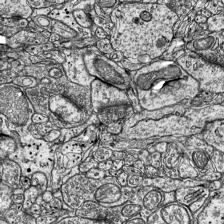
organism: Mouse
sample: Visual Cortex